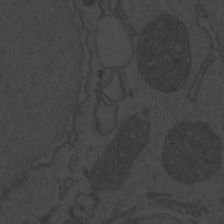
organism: Zebrafish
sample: Macrophage infected with Toxoplasma gondii